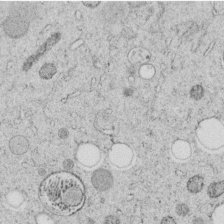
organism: C. elegans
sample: C. elegans embryo early stage